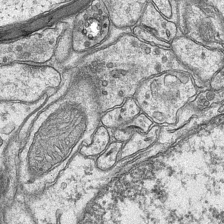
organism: Mouse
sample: CA1 Hippocampus